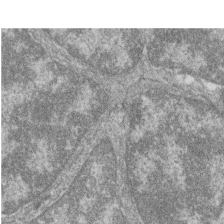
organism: Zebrafish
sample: Cilia; retinal pigment epithelium